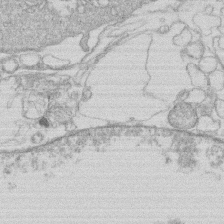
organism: Human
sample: Macrophage cells